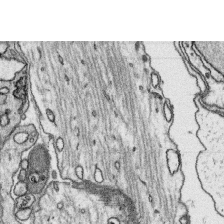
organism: Platynereis dumerilii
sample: Parapodia